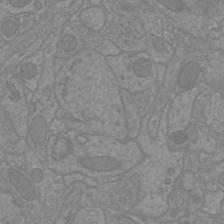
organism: Mouse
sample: Cortical neurons